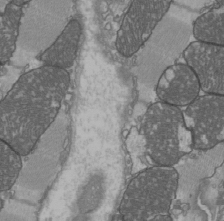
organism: C57BL Mouse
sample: Heart